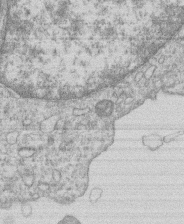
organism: Human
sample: Macrophage cells